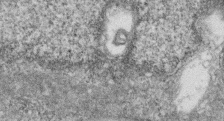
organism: Zebrafish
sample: Cilia; retinal pigment epithelium